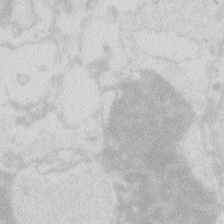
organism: Zebrafish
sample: Macrophage